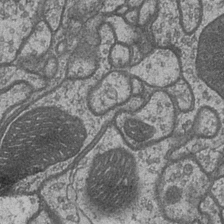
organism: Drosophila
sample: Optic medulla